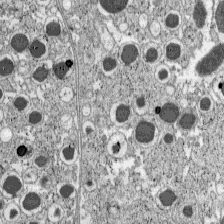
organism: C57BL Mouse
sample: Pancreatic islet